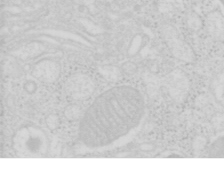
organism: Mouse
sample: Pancreas